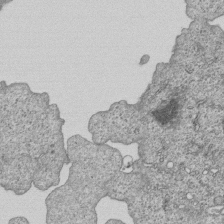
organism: Human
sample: MDA-MB-231 cells